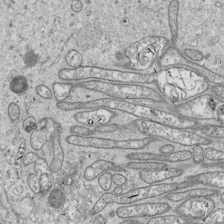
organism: Drosophila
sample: Cell division; meiosis; drosophila spermatocytes